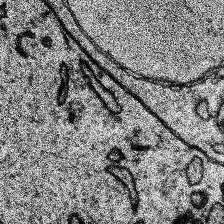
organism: Human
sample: Temporal Lobe